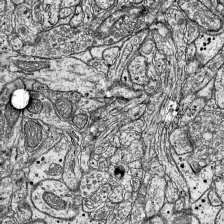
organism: Mouse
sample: Visual Cortex